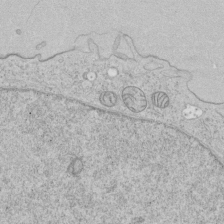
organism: Human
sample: Mitochondria in HCT116 cells